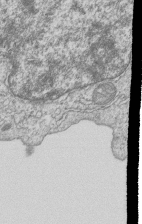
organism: Human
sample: MDA-MB-231 cells